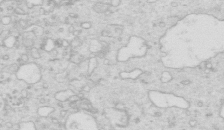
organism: Mouse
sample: Multiciliated cells